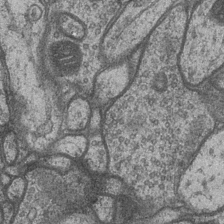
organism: Drosophila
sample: Optic medulla